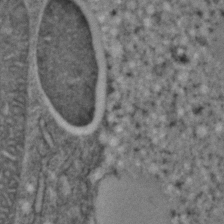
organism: C. elegans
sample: C. elegans embryo